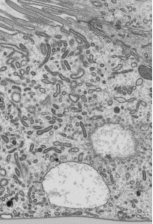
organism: Mouse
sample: Mouse epididymis efferent ductule cilia